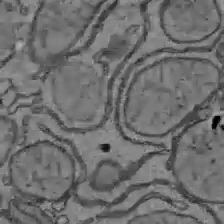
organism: C57BL Mouse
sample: Liver